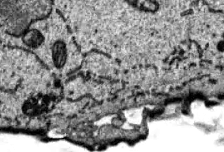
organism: Human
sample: HeLa cells